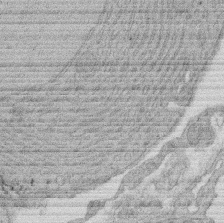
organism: Rat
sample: Salivary granule